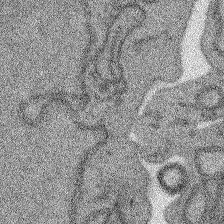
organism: Human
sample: HeLa cells